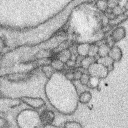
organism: Rabbit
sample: Retina